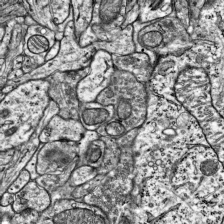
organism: Mouse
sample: Visual Cortex